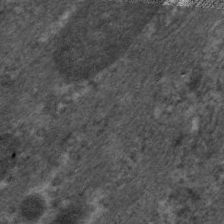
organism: C. elegans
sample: Pharynx